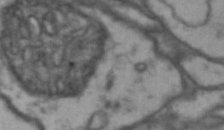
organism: Drosophila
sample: Brain